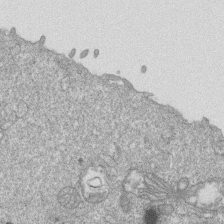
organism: Human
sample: HeLa cell HIV synapse